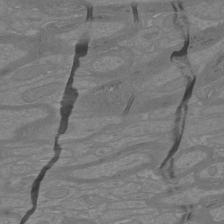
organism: Mouse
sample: Cortical neurons